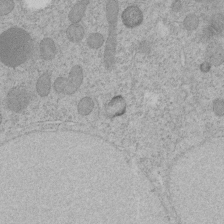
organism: C. elegans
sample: C. elegans embryo early stage